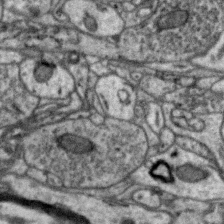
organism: Zebra finch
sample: Brain